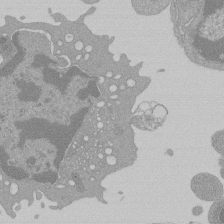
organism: Mouse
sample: Activated Pmel transgenic CD8+ T Cells